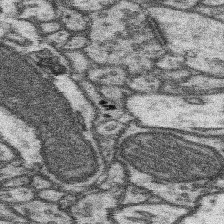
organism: Mouse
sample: Somatosensory cortex neuropil